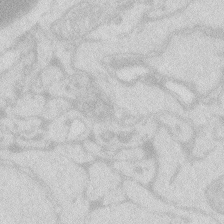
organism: Zebrafish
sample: Macrophage